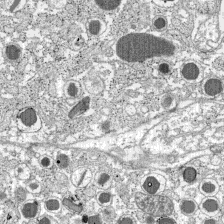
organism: C57BL Mouse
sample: Pancreatic islet